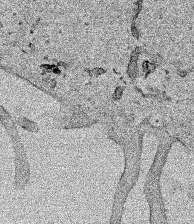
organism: Human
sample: Mitochondria in HCT116 cells